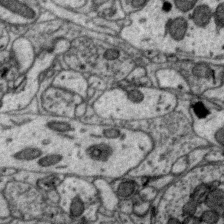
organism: Zebra finch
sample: Brain